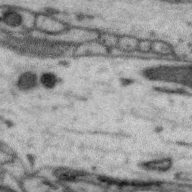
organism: Zebra finch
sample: Brain